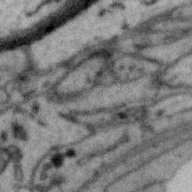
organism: Zebra finch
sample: Brain